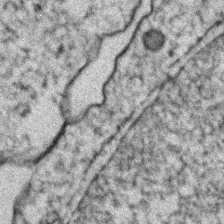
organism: Zebrafish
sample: Zebrafish embryo